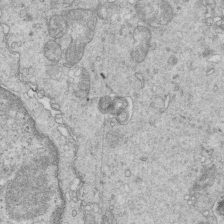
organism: Mouse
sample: Multiciliated cells